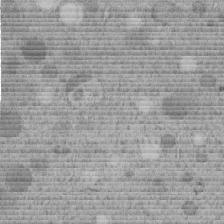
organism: C. elegans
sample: C. elegans embryo early stage